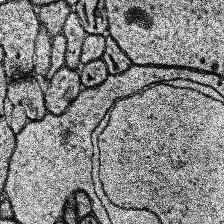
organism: Human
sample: Temporal Lobe